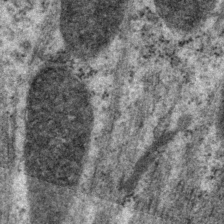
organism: P. pacificus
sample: Pharynx